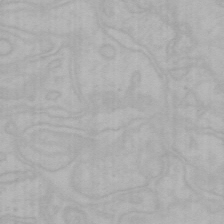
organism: Mouse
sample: Choroid plexus